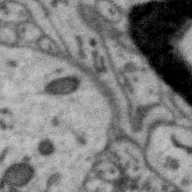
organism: Zebra finch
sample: Brain